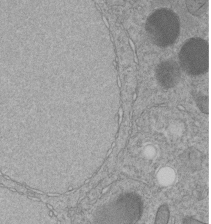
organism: C. elegans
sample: C. elegans embryo early stage